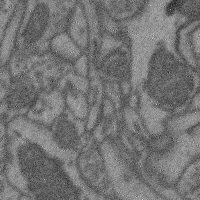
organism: Mouse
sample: Cerebral cortex